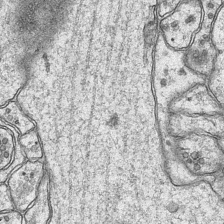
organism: Mouse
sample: CA1 Hippocampus